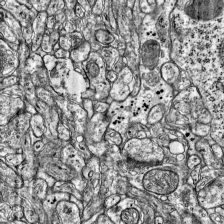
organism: Mouse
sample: Visual Cortex